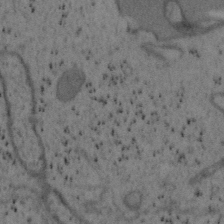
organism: Human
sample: HeLa cells